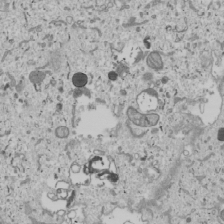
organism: Human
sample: Mitochondria in U2OS cells